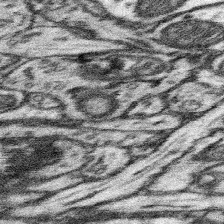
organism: Mouse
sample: Somatosensory cortex neuropil